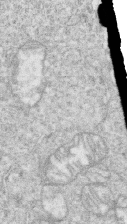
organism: Human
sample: HeLa cell HIV synapse